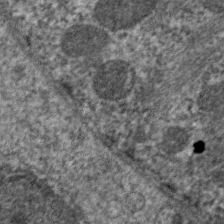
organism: C. elegans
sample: Pharynx